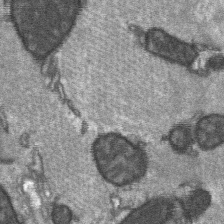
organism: C57BL Mouse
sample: Soleus